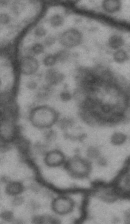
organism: Drosophila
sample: Brain